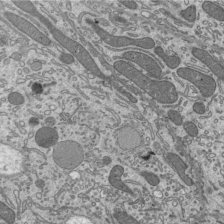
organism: Mouse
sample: Mouse epididymis efferent ductule cilia